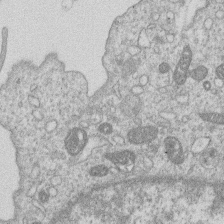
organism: Human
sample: Macrophage cells